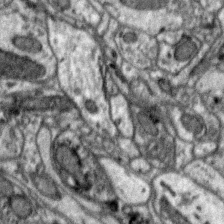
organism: Zebra finch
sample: Brain